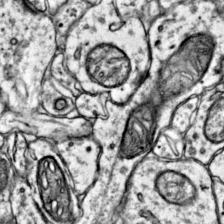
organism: Mouse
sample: Primary visual cortex